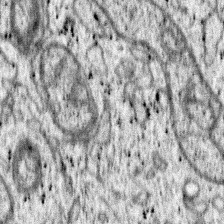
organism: Human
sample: HeLa cells